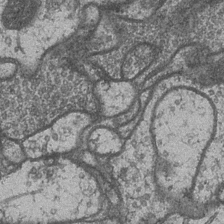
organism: Drosophila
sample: Optic medulla